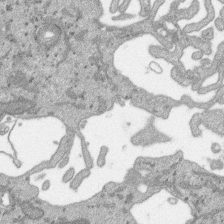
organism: Human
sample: Lung epithelial cells infected with SARS-CoV-2